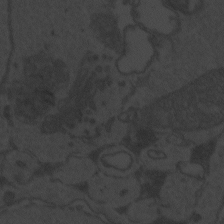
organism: Zebrafish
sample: Macrophage infected with Toxoplasma gondii